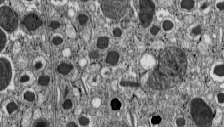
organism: C57BL Mouse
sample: Pancreatic islet